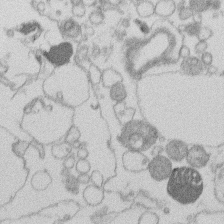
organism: Human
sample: Macrophage cells